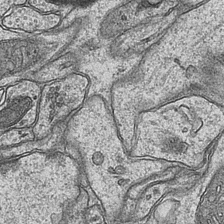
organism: Mouse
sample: CA1 Hippocampus